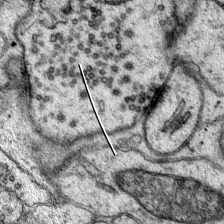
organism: Mouse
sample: Primary visual cortex